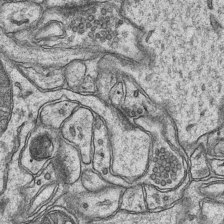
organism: Mouse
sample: CA1 Hippocampus